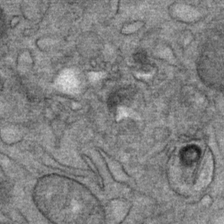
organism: Mouse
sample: Mouse Salivary gland